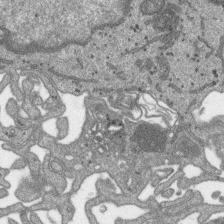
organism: Human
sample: Lung epithelial cells infected with SARS-CoV-2